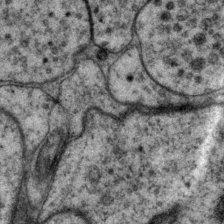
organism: P. pacificus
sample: Pharynx